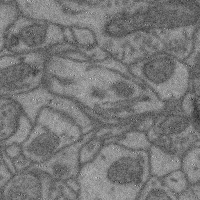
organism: Mouse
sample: Cerebral cortex